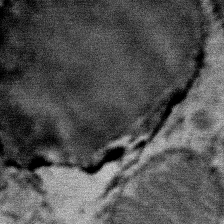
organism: Mouse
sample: Mouse Salivary gland